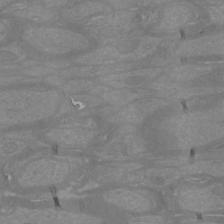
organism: Mouse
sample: Cortical neurons